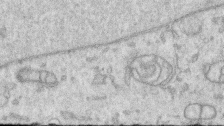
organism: Human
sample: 1205lu cells